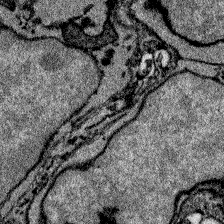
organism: Zebrafish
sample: Larval olfactory bulb